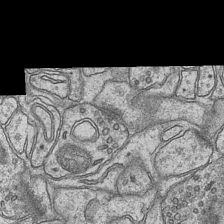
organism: Mouse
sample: CA1 Hippocampus